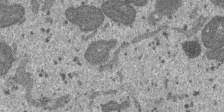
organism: Human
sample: Lung epithelial cells infected with SARS-CoV-2